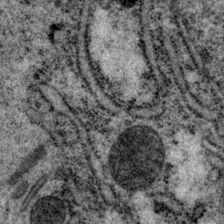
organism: P. pacificus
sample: Pharynx